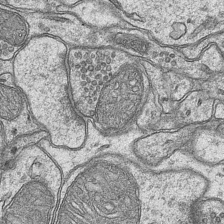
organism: Mouse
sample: CA1 Hippocampus